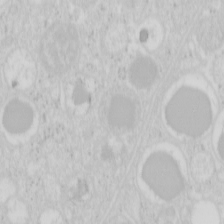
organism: Mouse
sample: Pancreas